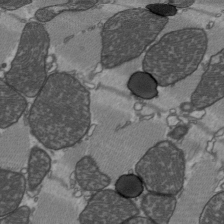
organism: C57BL Mouse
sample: Heart